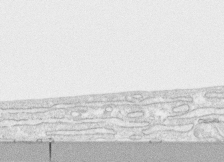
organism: Human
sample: CRL-1474